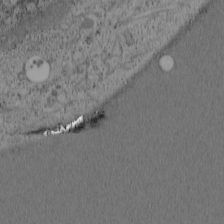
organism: African green monkey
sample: COS-7 cells